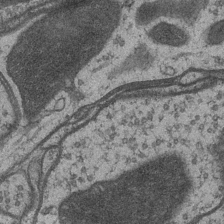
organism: Drosophila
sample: Optic medulla